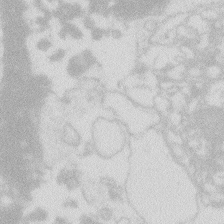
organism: Zebrafish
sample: Macrophage